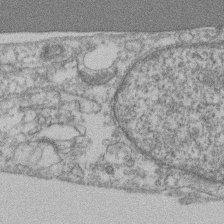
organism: Mouse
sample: T cell stromal cell synapse